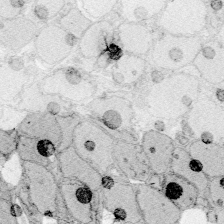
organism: Zebrafish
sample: Whole-Brain